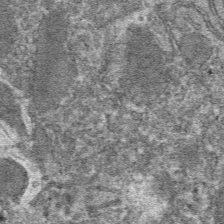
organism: Mouse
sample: Mouse hepatocytes